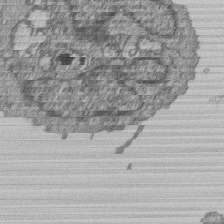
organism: Human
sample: MDA-MB-231 cells